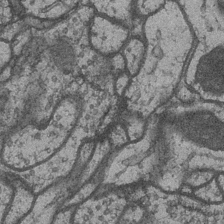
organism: Drosophila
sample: Optic medulla